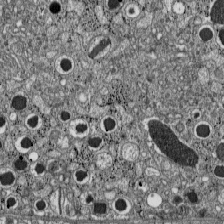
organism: C57BL Mouse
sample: Pancreatic islet